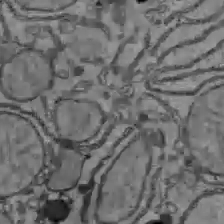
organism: C57BL Mouse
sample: Liver